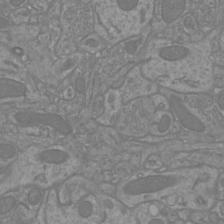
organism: Mouse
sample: Cortical neurons